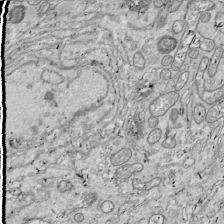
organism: Drosophila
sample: Cell division; meiosis; drosophila spermatocytes